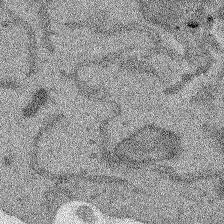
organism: Human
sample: HeLa cells